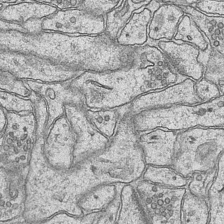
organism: Mouse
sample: CA1 Hippocampus